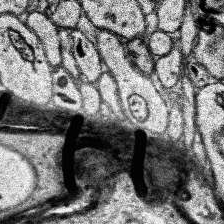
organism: Human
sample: Temporal Lobe